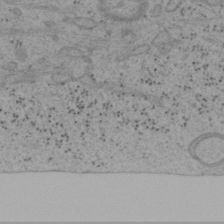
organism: Human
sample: HeLa cells